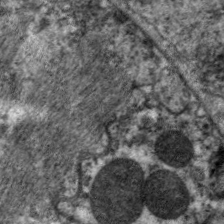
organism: C. elegans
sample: Pharynx